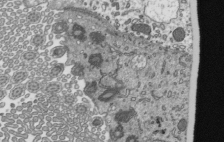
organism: Mouse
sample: Mouse epididymis efferent ductule cilia